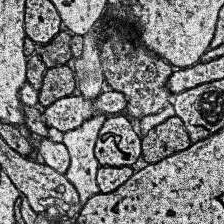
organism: Human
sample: Temporal Lobe